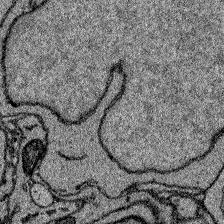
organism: Zebrafish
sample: Larval olfactory bulb